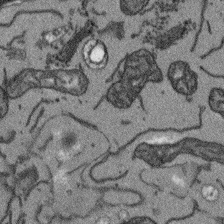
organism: Arabidopsis thaliana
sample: Root tip